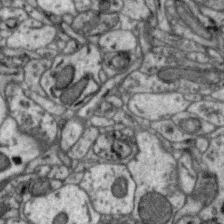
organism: Zebra finch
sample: Brain